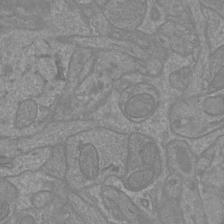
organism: Mouse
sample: Cortical neurons